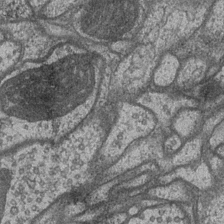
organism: Drosophila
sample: Optic medulla